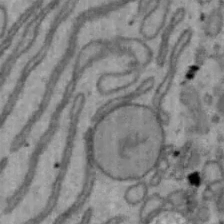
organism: Mouse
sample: Liver